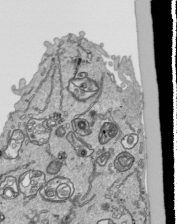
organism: Human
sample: Mitochondria in HCT116 cells